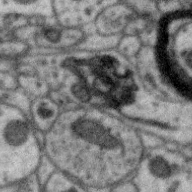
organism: Zebra finch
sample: Brain